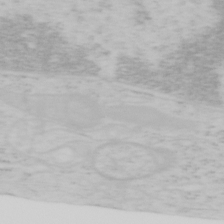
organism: Mouse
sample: OT-I killer T cells with ID8 ovarian cancer cells